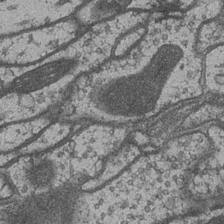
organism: Drosophila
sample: Optic medulla